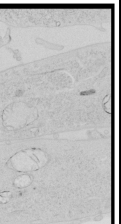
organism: Human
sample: Mitochondria in HCT116 cells